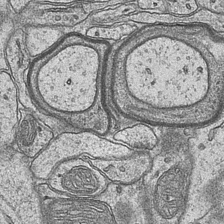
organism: Mouse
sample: CA1 Hippocampus